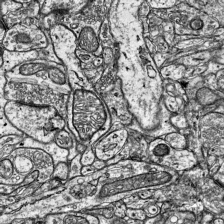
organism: Mouse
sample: Visual Cortex